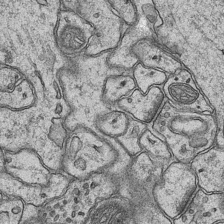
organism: Mouse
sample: CA1 Hippocampus